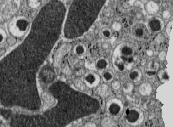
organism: C57BL Mouse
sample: Pancreatic islet